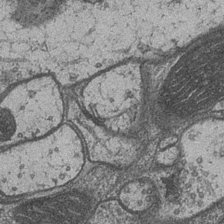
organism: Drosophila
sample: Optic medulla